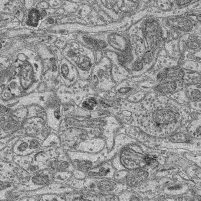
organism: Mouse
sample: Retina